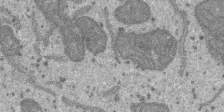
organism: Human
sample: Lung epithelial cells infected with SARS-CoV-2